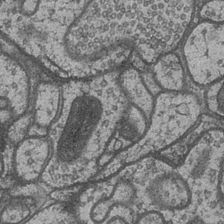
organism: Drosophila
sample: Optic medulla